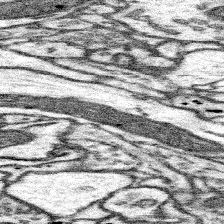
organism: Mouse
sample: Somatosensory cortex neuropil